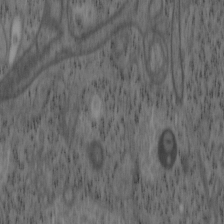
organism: Human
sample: HeLa cells